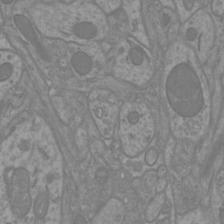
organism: Mouse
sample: Cortical neurons